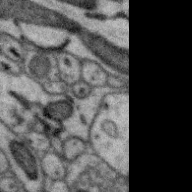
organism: Zebra finch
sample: Brain